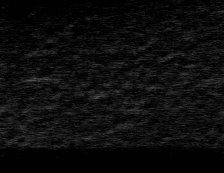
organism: Human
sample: HeLa cells